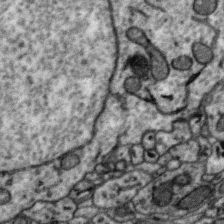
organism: Zebra finch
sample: Brain